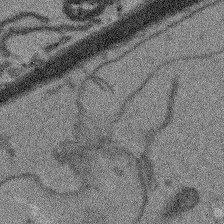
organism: Arabidopsis thaliana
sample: Root tip